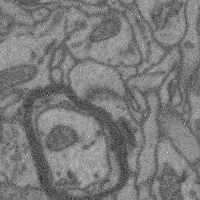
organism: Mouse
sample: Cerebral cortex